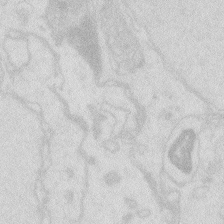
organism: Zebrafish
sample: Macrophage